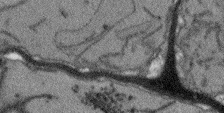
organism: Arabidopsis thaliana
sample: Root tip